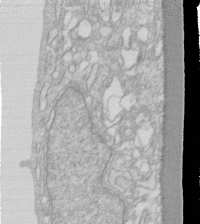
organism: Human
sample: Fibroblast cells